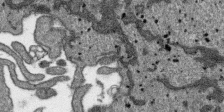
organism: Human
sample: Lung epithelial cells, uninfected (mock) control